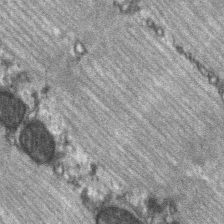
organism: C57BL Mouse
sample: Soleus